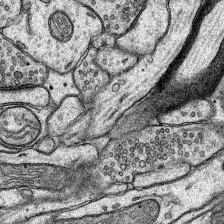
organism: Rat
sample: Hippocampus